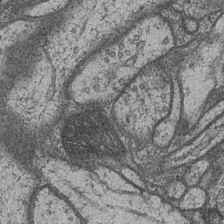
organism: Drosophila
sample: Optic medulla